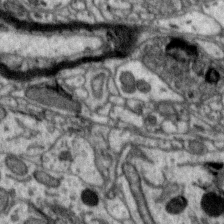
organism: Zebra finch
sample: Brain